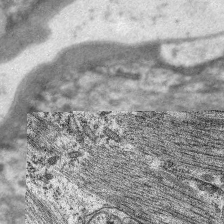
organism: C. elegans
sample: Pharynx